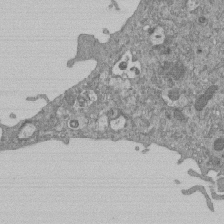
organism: Mouse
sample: ED-1 cell nuclei; centrioles